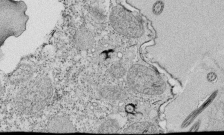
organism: Tetrahymena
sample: Cilia in tetrahymena